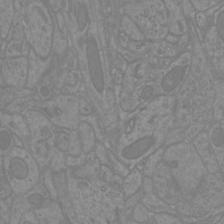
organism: Mouse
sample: Cortical neurons